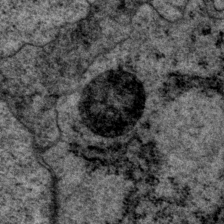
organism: P. pacificus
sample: Pharynx